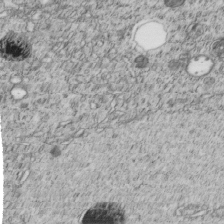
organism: C. elegans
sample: C. elegans embryo early stage